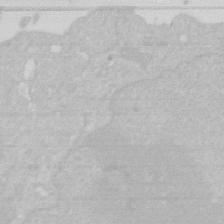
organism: Human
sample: HIV infected U937 cells